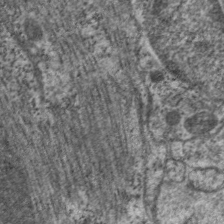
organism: C. elegans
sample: Pharynx